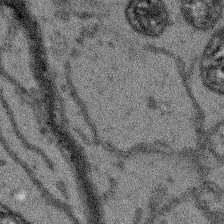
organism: Arabidopsis thaliana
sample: Root tip